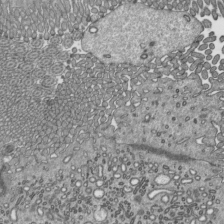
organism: Mouse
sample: Mouse epididymis efferent ductule cilia